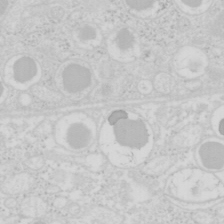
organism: Mouse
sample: Pancreas